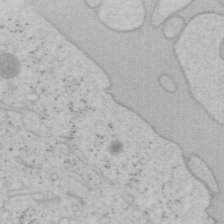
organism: Human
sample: HeLa cells